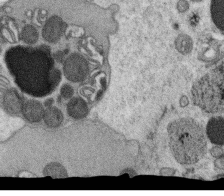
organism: C. elegans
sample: C. elegans oocyte; sperm cells